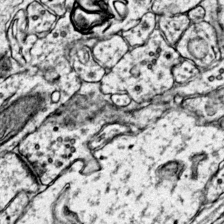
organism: Mouse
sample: Primary visual cortex